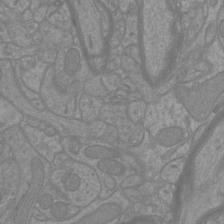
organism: Mouse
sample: Cortical neurons